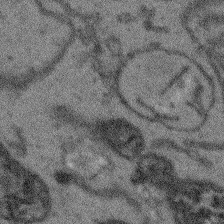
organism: Arabidopsis thaliana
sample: Root tip